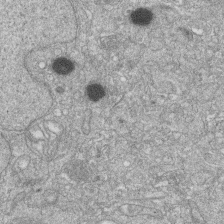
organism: Human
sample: HeLa cell HIV synapse